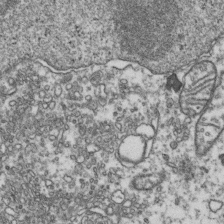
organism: Human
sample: Activated Jurkat CD4+ T cells